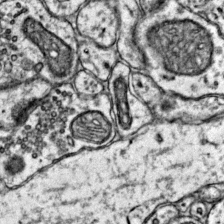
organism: Mouse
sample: Primary visual cortex